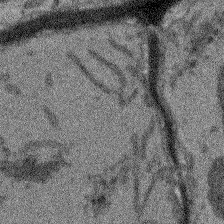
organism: Arabidopsis thaliana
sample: Root tip